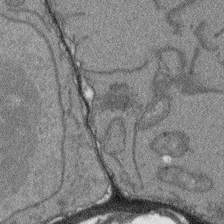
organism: Arabidopsis thaliana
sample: Root tip